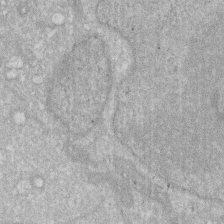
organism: Human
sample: HIV infected U937 cells